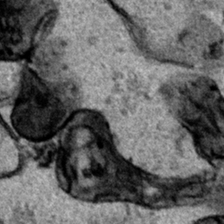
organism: Human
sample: Mitochondria in HCT116 cells